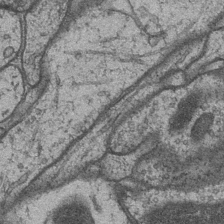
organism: Drosophila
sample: Optic medulla